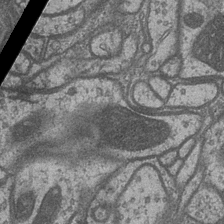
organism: Drosophila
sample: Optic medulla